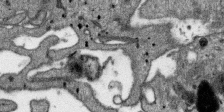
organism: Human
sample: Lung epithelial cells, uninfected (mock) control